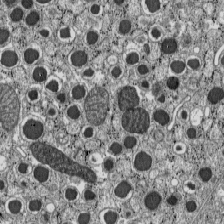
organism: C57BL Mouse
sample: Pancreatic islet